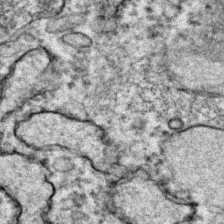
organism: Zebrafish